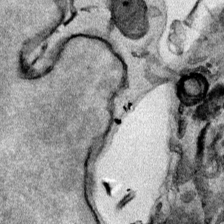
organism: Mouse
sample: Cancer cell death in ED-1 cells